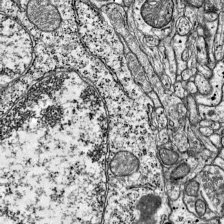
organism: Mouse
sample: Visual Cortex